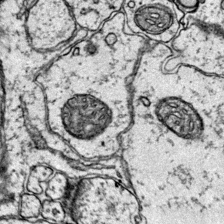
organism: Mouse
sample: Primary visual cortex